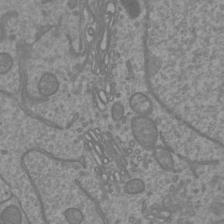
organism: Mouse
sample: Cortical neurons